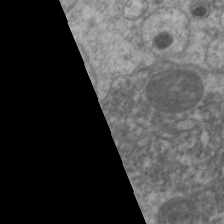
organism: C. elegans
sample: Pharynx